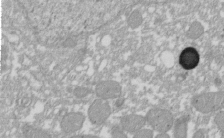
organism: Xenopus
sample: Cilia; centrioles in frog embryo cells